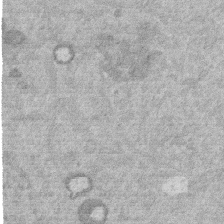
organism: Mouse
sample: Dividing mouse embryo 1 cell stage